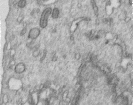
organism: Human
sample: Centriole in RPE cells